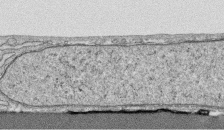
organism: Human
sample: CRL-1474